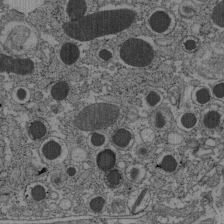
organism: C57BL Mouse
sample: Pancreatic islet